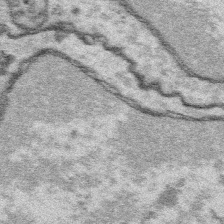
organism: Platynereis dumerilii